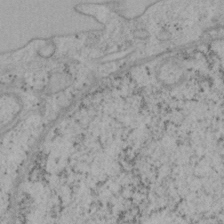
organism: Human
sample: HeLa cells